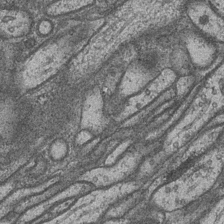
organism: Drosophila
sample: Optic medulla